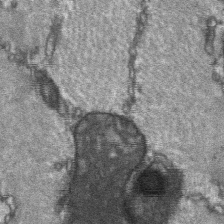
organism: C57BL Mouse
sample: Soleus